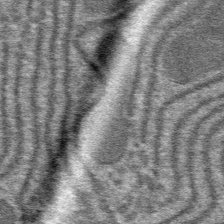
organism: Mouse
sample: Mouse hepatocytes